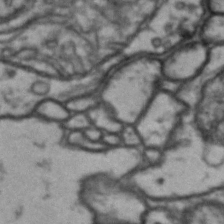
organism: Drosophila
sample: Brain